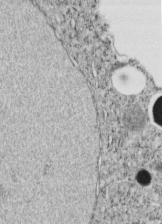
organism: C. elegans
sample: C. elegans embryo early stage